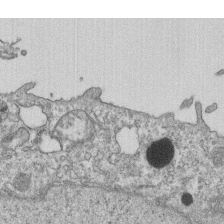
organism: Human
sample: HeLa cell HIV synapse